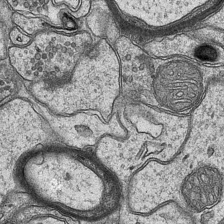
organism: Mouse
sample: CA1 Hippocampus